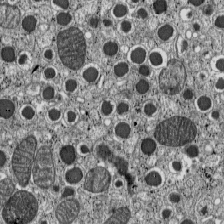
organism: C57BL Mouse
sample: Pancreatic islet